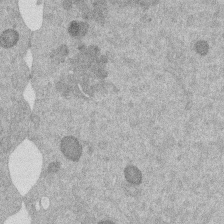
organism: Mouse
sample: Dividing mouse embryo 1 cell stage